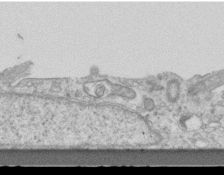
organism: Mouse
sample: Centriole in ependymal cells